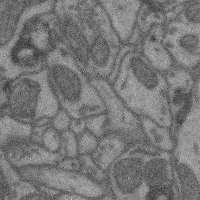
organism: Mouse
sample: Cerebral cortex